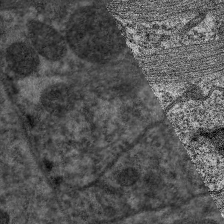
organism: C. elegans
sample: Pharynx